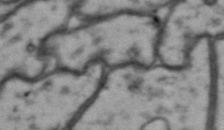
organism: Drosophila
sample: Brain